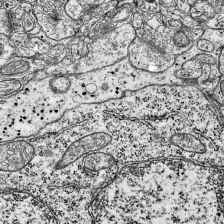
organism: Mouse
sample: Visual Cortex